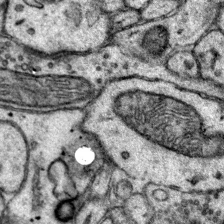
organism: Mouse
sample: Primary visual cortex